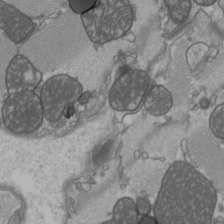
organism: C57BL Mouse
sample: Heart